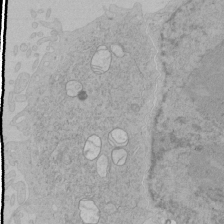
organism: Human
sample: Mitochondria in HCT116 cells